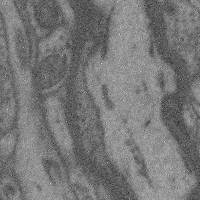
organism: Mouse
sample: Cerebral cortex